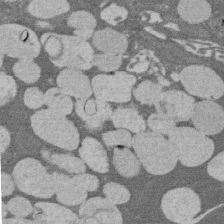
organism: Rat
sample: Salivary granule